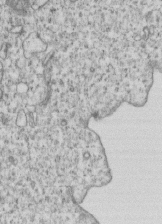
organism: Human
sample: MDA-MB-231 cells